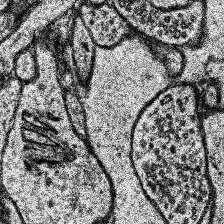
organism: Human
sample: Temporal Lobe